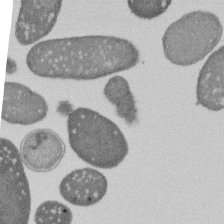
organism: E. coli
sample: Bacterial nucleoid